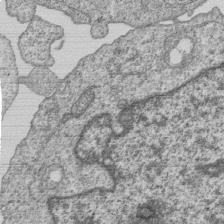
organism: Human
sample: MDA-MB-231 cells